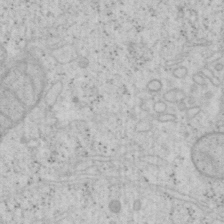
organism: Human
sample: HeLa cells